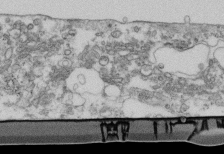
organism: Mouse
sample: Cilia; retinal pigment epithelium